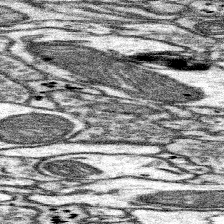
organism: Mouse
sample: Somatosensory cortex neuropil